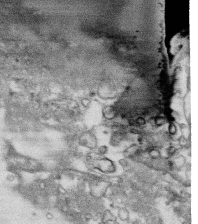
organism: Human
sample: CRL-1474